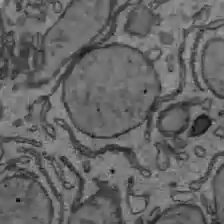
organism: C57BL Mouse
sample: Liver